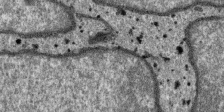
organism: Human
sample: Lung epithelial cells, uninfected (mock) control